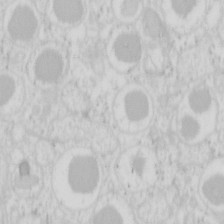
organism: Mouse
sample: Pancreas